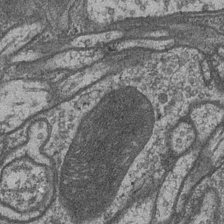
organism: Drosophila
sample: Optic medulla